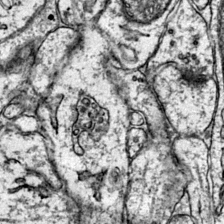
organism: Mouse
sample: Primary visual cortex